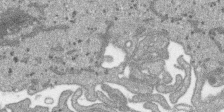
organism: Human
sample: Lung epithelial cells infected with SARS-CoV-2